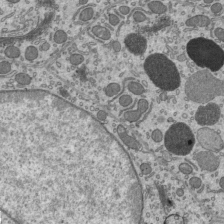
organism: Mouse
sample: Mouse epididymis efferent ductule cilia